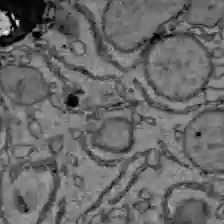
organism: C57BL Mouse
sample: Liver